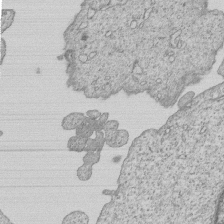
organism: Human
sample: MDA-MB-231 cells